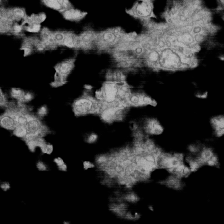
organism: Human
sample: Fibroblast cells